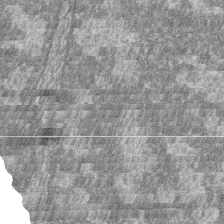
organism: Zebrafish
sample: Cilia; retinal pigment epithelium